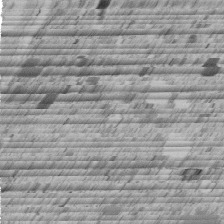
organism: C. elegans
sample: C. elegans embryo early stage